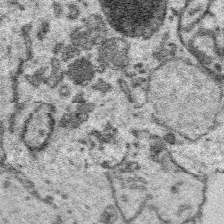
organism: Platynereis dumerilii